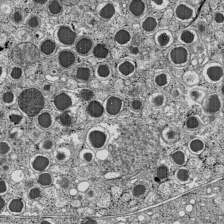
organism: C57BL Mouse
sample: Pancreatic islet